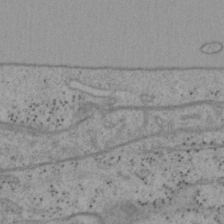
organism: Human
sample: HeLa cells